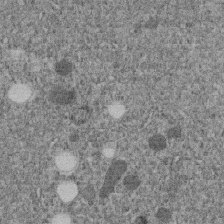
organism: C. elegans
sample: C. elegans embryo early stage